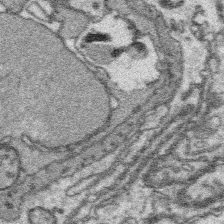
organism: Platynereis dumerilii